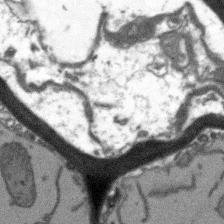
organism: Arabidopsis thaliana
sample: Root tip